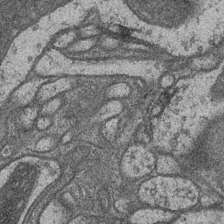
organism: Drosophila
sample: Optic medulla